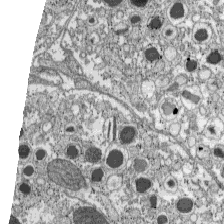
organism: C57BL Mouse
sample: Pancreatic islet